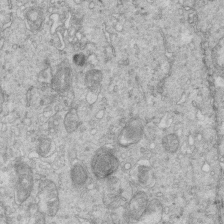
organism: Mouse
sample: Multiciliated cells